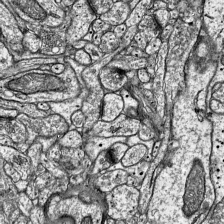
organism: Mouse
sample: Visual Cortex